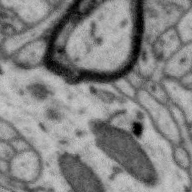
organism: Zebra finch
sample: Brain